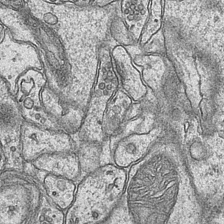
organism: Mouse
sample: CA1 Hippocampus